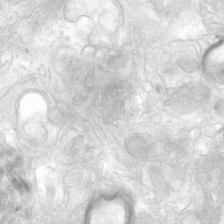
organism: Human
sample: Neocortex